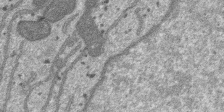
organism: Human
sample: Lung epithelial cells infected with SARS-CoV-2